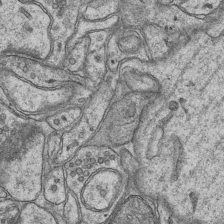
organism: Mouse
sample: CA1 Hippocampus